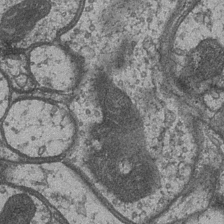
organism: Drosophila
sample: Optic medulla